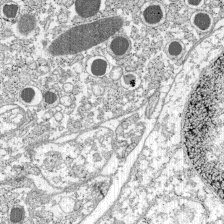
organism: C57BL Mouse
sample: Pancreatic islet